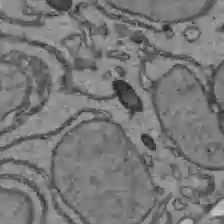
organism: C57BL Mouse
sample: Liver